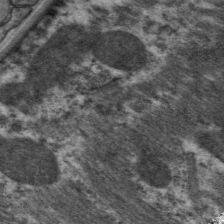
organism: C. elegans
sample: Pharynx